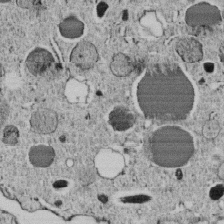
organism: C. elegans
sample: C. elegans embryo early stage